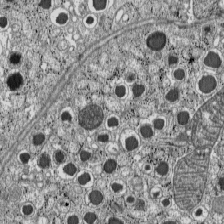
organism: C57BL Mouse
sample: Pancreatic islet